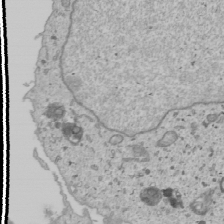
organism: Human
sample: Mitochondria in U2OS cells